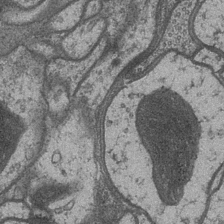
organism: Drosophila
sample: Optic medulla